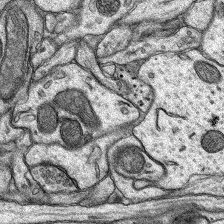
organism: Rat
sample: Hippocampus